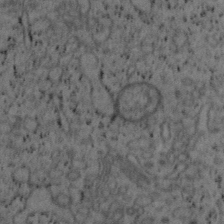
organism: Human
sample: HeLa cells